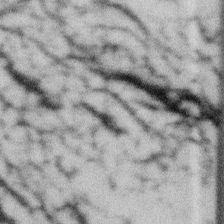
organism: Gemmata obscuriglobus